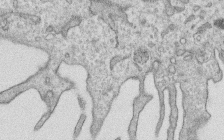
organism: Human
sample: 1205lu cells